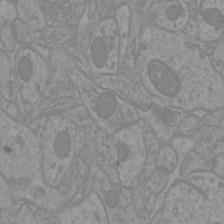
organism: Mouse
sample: Cortical neurons